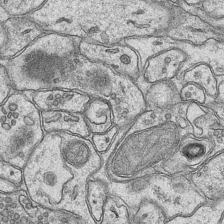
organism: Mouse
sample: CA1 Hippocampus